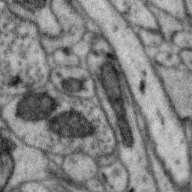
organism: Zebra finch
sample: Brain